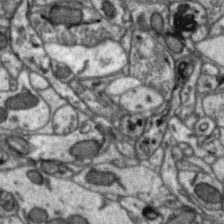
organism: Zebra finch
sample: Brain